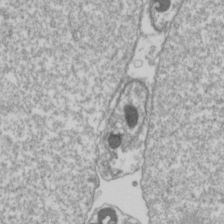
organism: Drosophila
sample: Cell division; meiosis; drosophila spermatocytes